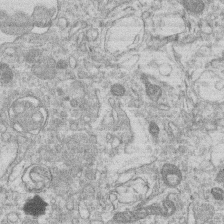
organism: Human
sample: Macrophage cells